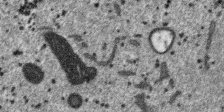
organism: Human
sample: Lung epithelial cells infected with SARS-CoV-2